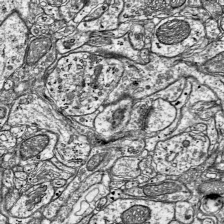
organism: Mouse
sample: Visual Cortex